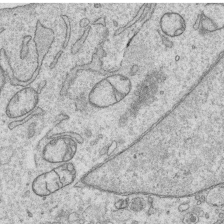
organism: Human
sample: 1205lu cells